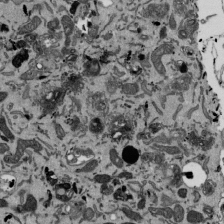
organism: Mouse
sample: ED-1 cell nuclei; centrioles